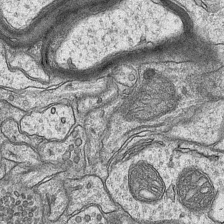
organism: Mouse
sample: CA1 Hippocampus